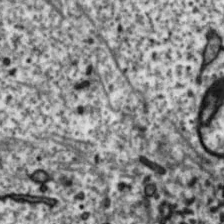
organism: Human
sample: HeLa cells